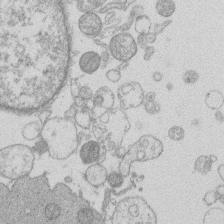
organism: Human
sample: Macrophage cells